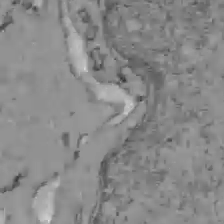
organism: C57BL Mouse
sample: Liver